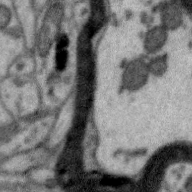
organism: Zebra finch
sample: Brain